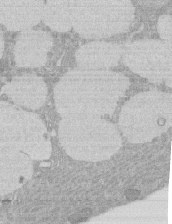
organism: Rat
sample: Salivary granule